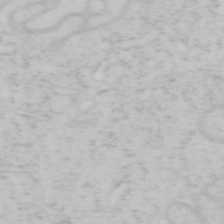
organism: Mouse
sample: OT-I killer T cells with ID8 ovarian cancer cells